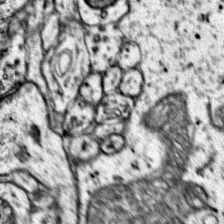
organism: Mouse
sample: Primary visual cortex